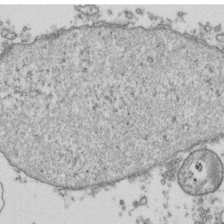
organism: Human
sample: Activated Jurkat CD4+ T cells